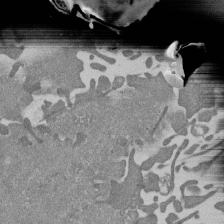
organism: Mouse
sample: ED-1 cell nuclei; centrioles